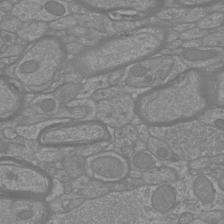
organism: Mouse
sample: Cortical neurons